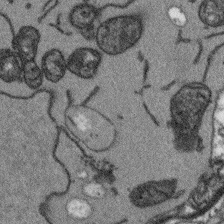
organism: Arabidopsis thaliana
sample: Root tip